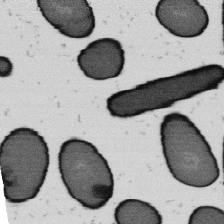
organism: B. subtilis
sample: Bacterial spore